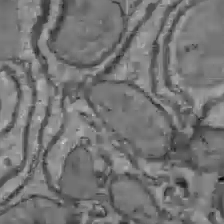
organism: C57BL Mouse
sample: Liver